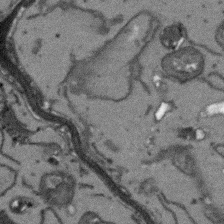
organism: Arabidopsis thaliana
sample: Root tip